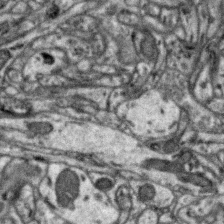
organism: Zebra finch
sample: Brain